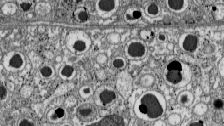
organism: C57BL Mouse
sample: Pancreatic islet